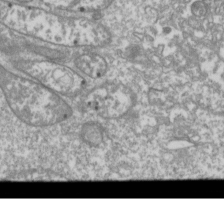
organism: Drosophila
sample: Cell division; meiosis; drosophila spermatocytes